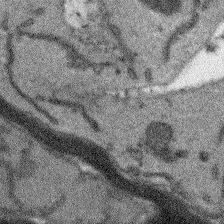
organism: Arabidopsis thaliana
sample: Root tip